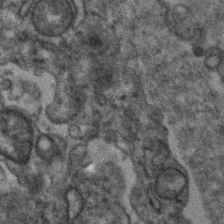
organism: Human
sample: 1205lu cells